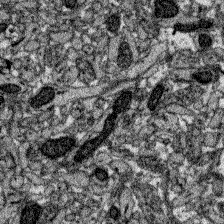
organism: Zebrafish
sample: Larval olfactory bulb